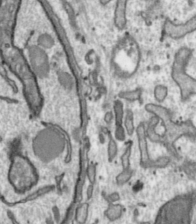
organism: Toxoplasma gondii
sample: Parasites in a vacuole inside a host cell